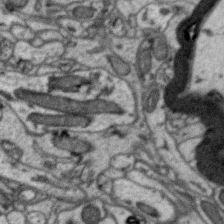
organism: Zebra finch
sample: Brain